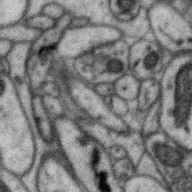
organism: Zebra finch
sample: Brain